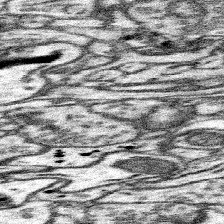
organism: Mouse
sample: Somatosensory cortex neuropil